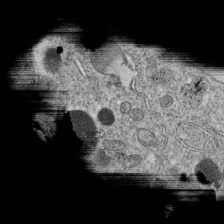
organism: C. elegans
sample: C. elegans oocyte; sperm cells